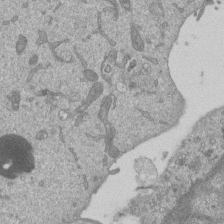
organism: Mouse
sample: ED-1 cell nuclei; centrioles